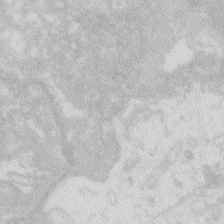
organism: Zebrafish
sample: Macrophage